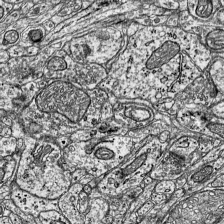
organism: Mouse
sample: Visual Cortex